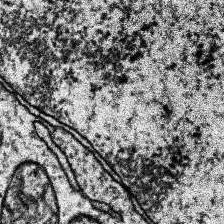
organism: Human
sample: Temporal Lobe